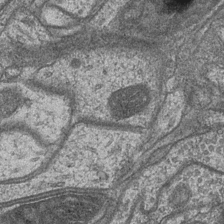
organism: Drosophila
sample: Optic medulla